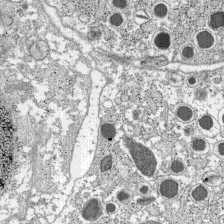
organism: C57BL Mouse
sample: Pancreatic islet